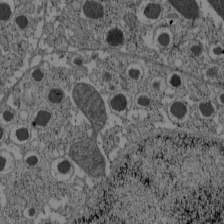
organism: C57BL Mouse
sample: Pancreatic islet